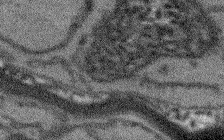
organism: Arabidopsis thaliana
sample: Root tip